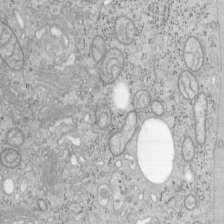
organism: Mouse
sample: OT-I killer T cells with ID8 ovarian cancer cells